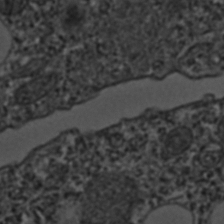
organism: C. elegans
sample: C. elegans embryo